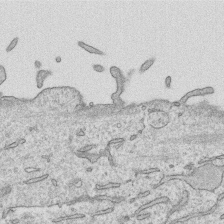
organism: Human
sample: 1205lu cells